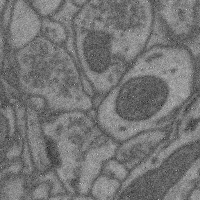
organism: Mouse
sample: Cerebral cortex